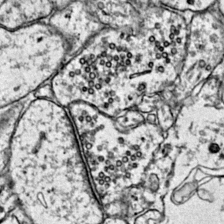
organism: Mouse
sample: Primary visual cortex